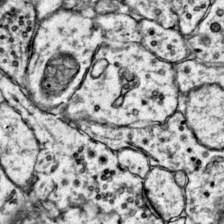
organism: Mouse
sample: Primary visual cortex